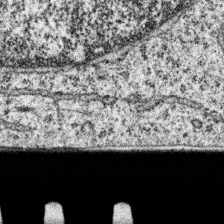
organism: Human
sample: HeLa cells